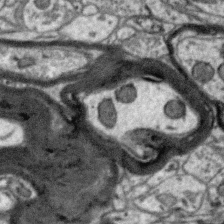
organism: Zebra finch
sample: Brain